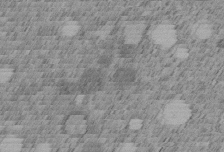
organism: C. elegans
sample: C. elegans embryo early stage